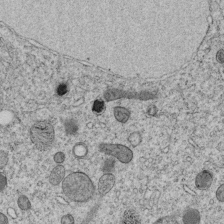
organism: C. elegans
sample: C. elegans embryo early stage